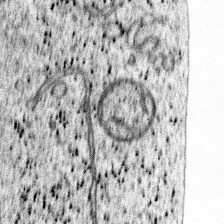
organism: Human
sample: HeLa cells